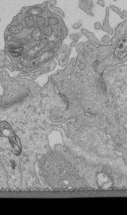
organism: Human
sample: Retinal organoid Rod and Cone cells